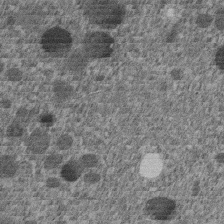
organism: C. elegans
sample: C. elegans embryo early stage